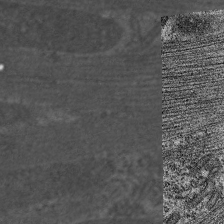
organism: C. elegans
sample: Pharynx